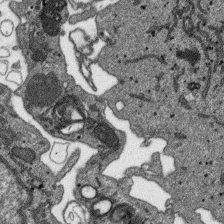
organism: Human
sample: Lung epithelial cells infected with SARS-CoV-2